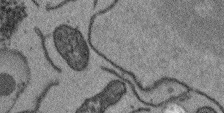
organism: Arabidopsis thaliana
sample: Root tip